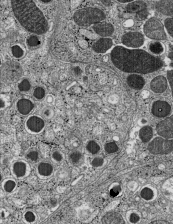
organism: C57BL Mouse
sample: Pancreatic islet